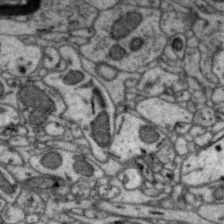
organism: Zebra finch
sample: Brain